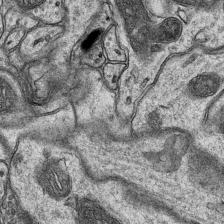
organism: Mouse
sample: CA1 Hippocampus